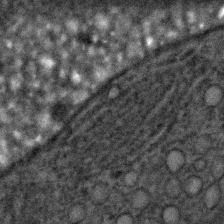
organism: C. elegans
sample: C. elegans embryo